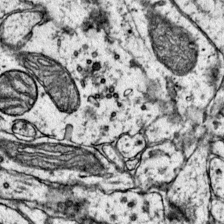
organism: Mouse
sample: Primary visual cortex